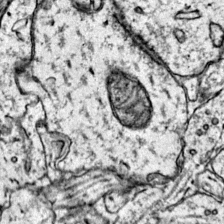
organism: Mouse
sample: Primary visual cortex